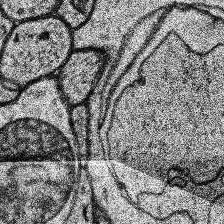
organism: Human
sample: Temporal Lobe